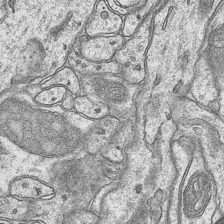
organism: Mouse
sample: CA1 Hippocampus